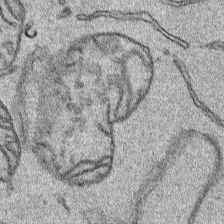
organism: Human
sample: Mitochondria in HCT116 cells